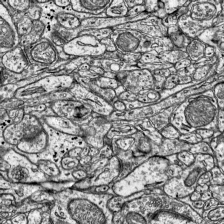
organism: Mouse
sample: Visual Cortex